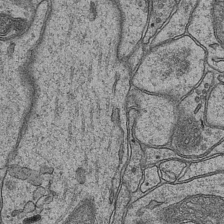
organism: Mouse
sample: CA1 Hippocampus